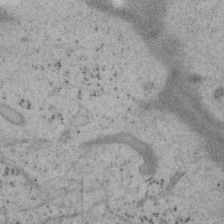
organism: Human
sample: HeLa cells